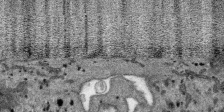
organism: Human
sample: Lung epithelial cells, uninfected (mock) control